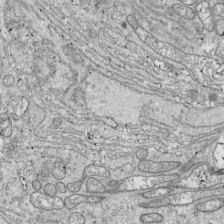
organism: Drosophila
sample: Cell division; meiosis; drosophila spermatocytes